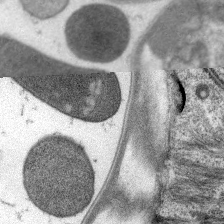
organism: C. elegans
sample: Pharynx